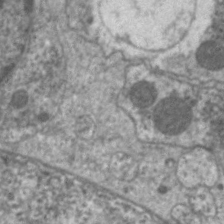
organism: C. elegans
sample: Pharynx